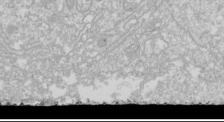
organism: Drosophila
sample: Cell division; meiosis; drosophila spermatocytes